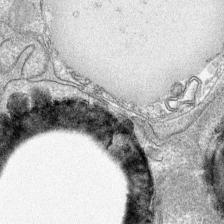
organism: Mouse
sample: Mouse hepatocytes